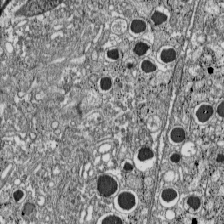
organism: C57BL Mouse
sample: Pancreatic islet